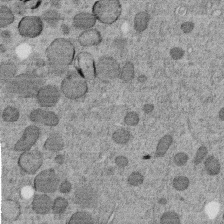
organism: C. elegans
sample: C. elegans embryo early stage